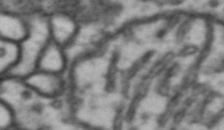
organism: Drosophila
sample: Brain